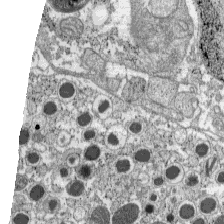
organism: C57BL Mouse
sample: Pancreatic islet